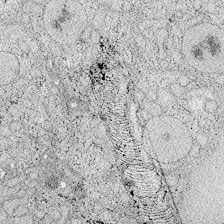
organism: Zebrafish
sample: Whole-Brain